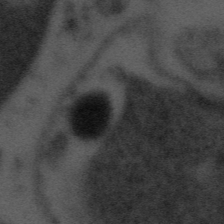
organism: Tuwongella immobilis